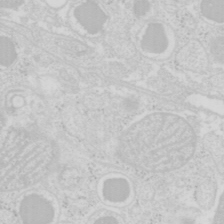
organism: Mouse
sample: Pancreas